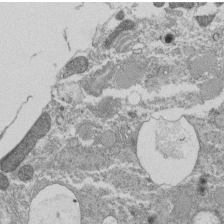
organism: Tetrahymena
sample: Cilia in tetrahymena